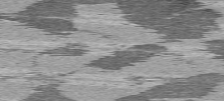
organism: C57BL Mouse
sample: Heart